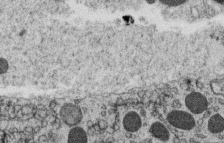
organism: C. elegans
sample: C. elegans oocyte; sperm cells